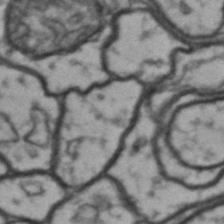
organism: Drosophila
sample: Brain